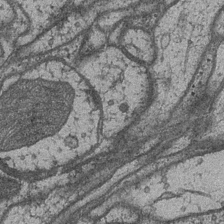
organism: Drosophila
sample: Optic medulla